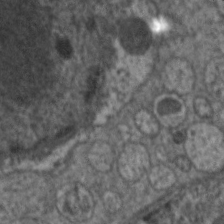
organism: C. elegans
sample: Pharynx